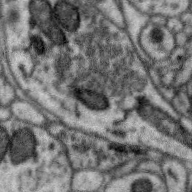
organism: Zebra finch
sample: Brain